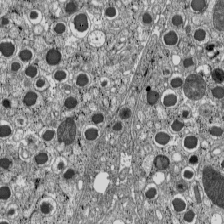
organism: C57BL Mouse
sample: Pancreatic islet